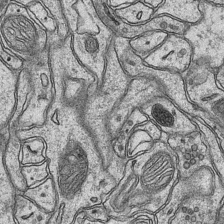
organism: Mouse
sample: CA1 Hippocampus